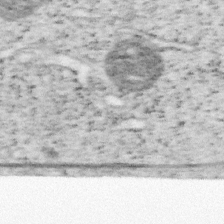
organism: Mouse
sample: OT-I killer T cells with ID8 ovarian cancer cells